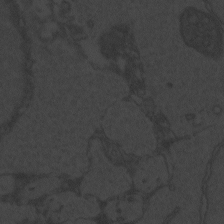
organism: Zebrafish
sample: Macrophage infected with Toxoplasma gondii